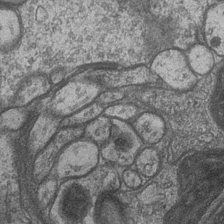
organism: Drosophila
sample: Optic medulla